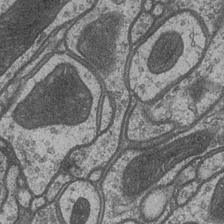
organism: Drosophila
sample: Optic medulla